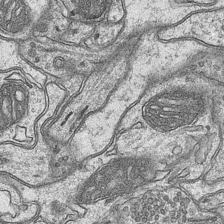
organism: Mouse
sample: CA1 Hippocampus